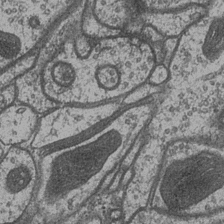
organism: Drosophila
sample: Optic medulla